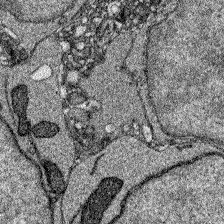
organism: Zebrafish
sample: Larval olfactory bulb